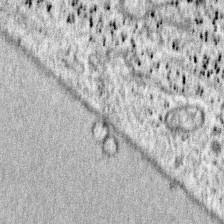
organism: Human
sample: HeLa cells